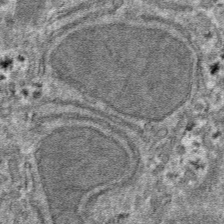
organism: Mouse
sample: Mouse hepatocytes